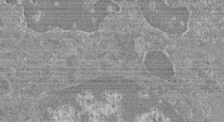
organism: Mouse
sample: Glomerulus